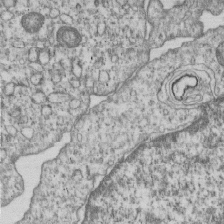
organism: Human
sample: MDA-MB-231 cells